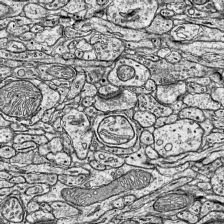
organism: Mouse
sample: Visual Cortex